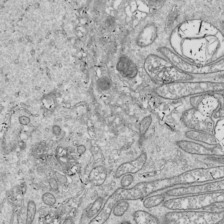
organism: Drosophila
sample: Cell division; meiosis; drosophila spermatocytes